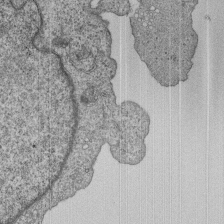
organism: Human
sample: MDA-MB-231 cells